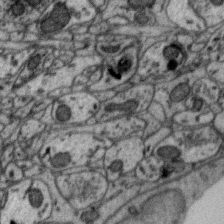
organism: Zebra finch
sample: Brain